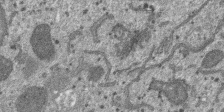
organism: Human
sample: Lung epithelial cells infected with SARS-CoV-2